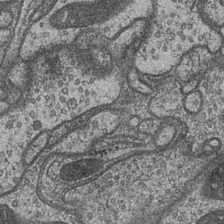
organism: Drosophila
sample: Optic medulla